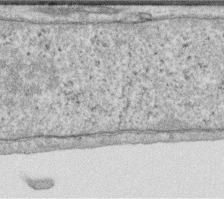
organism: Human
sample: Centriole in RPE cells